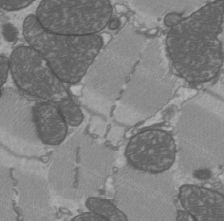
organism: C57BL Mouse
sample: Heart